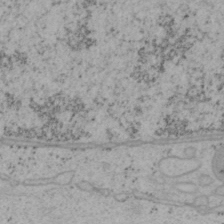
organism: Human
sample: HeLa cells